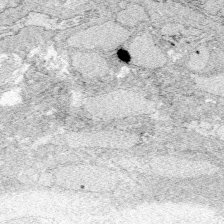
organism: Zebrafish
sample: Whole-Brain